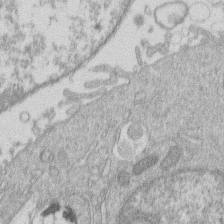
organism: Human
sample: Macrophage cells